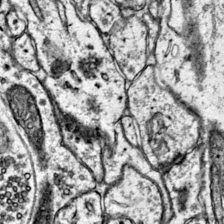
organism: Mouse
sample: Primary visual cortex